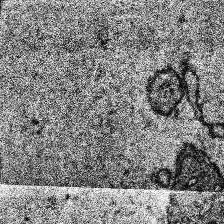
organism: Human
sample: Temporal Lobe